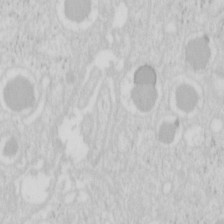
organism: Mouse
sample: Pancreas